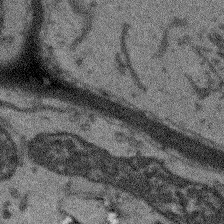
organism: Arabidopsis thaliana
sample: Root tip